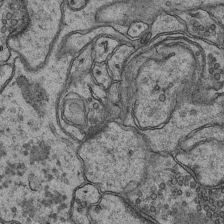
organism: Mouse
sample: CA1 Hippocampus